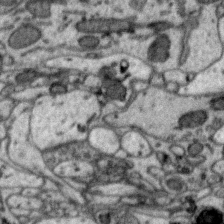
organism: Zebra finch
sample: Brain